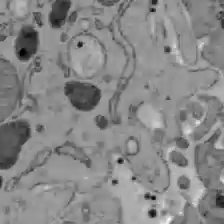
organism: C57BL Mouse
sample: Liver